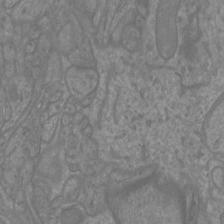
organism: Mouse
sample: Cortical neurons